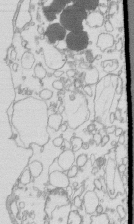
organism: Mouse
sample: Macrophages